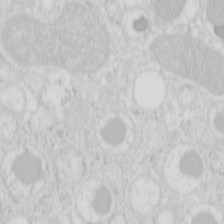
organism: Mouse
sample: Pancreas